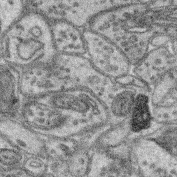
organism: Mouse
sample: Retina